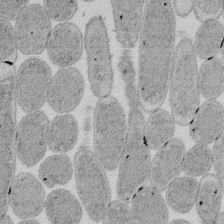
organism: E. coli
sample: Bacterial nucleoid